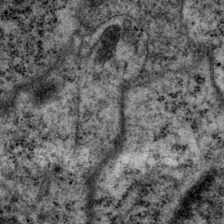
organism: P. pacificus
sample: Pharynx